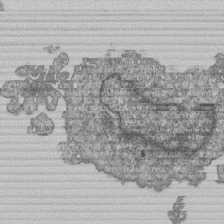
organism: Human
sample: MDA-MB-231 cells